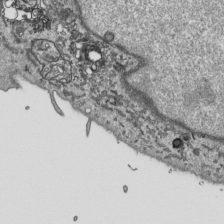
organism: Human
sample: Mitochondria in HCT116 cells